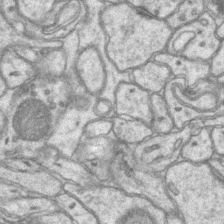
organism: Mouse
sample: CA1 Hippocampus